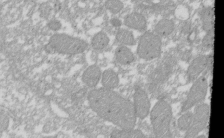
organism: Xenopus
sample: Cilia; centrioles in frog embryo cells